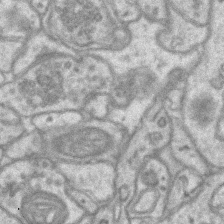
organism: Mouse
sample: CA1 Hippocampus